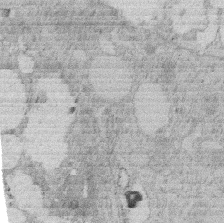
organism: Rat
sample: Salivary granule